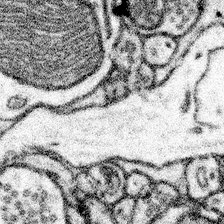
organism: Mouse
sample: Somatosensory cortex neuropil